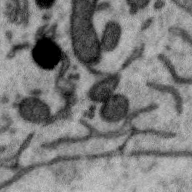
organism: Zebra finch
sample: Brain